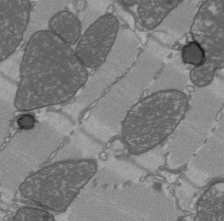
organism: C57BL Mouse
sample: Heart